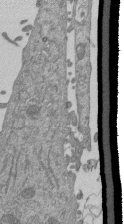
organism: Mouse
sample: ED-1 cell nuclei; centrioles